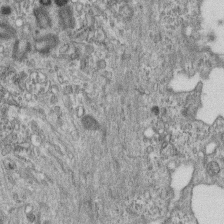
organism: Mouse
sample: Centriole in ependymal cells